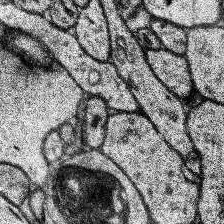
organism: Human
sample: Temporal Lobe